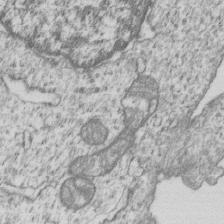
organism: Human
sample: MDA-MB-231 cells